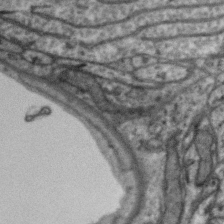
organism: Zebra finch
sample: Brain